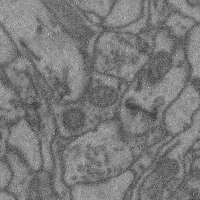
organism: Mouse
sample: Cerebral cortex